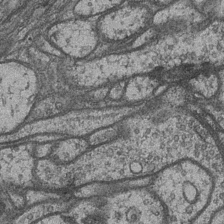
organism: Drosophila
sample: Optic medulla